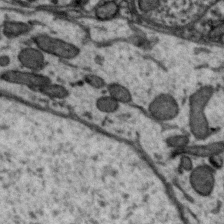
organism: Zebra finch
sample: Brain